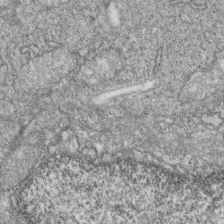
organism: Zebrafish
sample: Cilia; retinal pigment epithelium